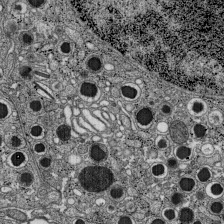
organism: C57BL Mouse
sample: Pancreatic islet